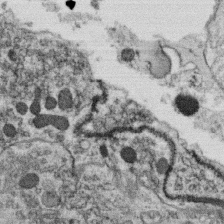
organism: C. elegans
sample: C. elegans oocyte; sperm cells